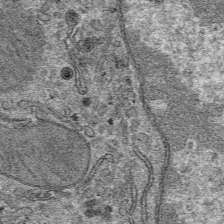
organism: Mouse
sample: Mouse hepatocytes